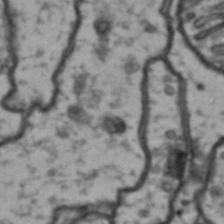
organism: Drosophila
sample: Brain